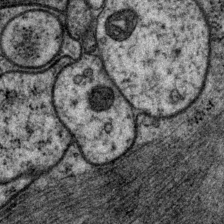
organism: P. pacificus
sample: Pharynx